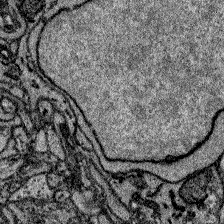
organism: Zebrafish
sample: Larval olfactory bulb